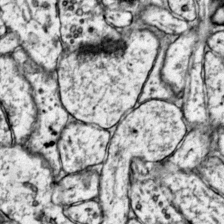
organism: Mouse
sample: Primary visual cortex